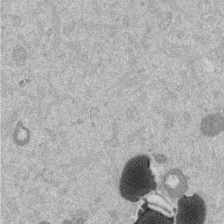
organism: Mouse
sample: Dividing mouse embryo 1 cell stage